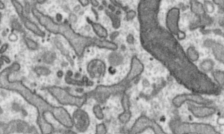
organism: Toxoplasma gondii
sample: Parasites in a vacuole inside a host cell